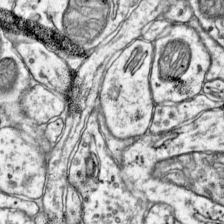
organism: Mouse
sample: Primary visual cortex